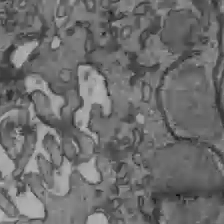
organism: C57BL Mouse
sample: Liver